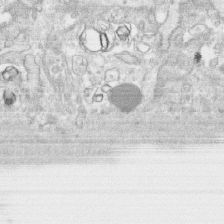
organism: Human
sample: CRL-1474